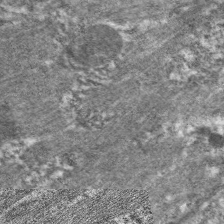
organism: C. elegans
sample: Pharynx